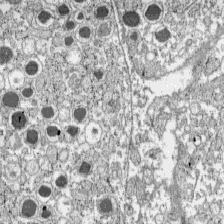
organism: C57BL Mouse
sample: Pancreatic islet